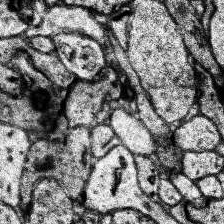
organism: Human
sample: Temporal Lobe